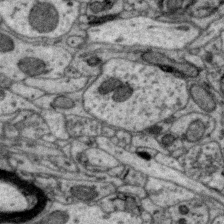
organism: Zebra finch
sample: Brain